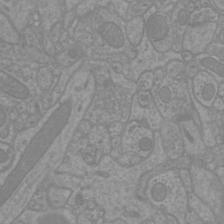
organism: Mouse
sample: Cortical neurons